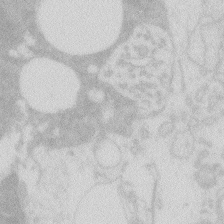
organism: Zebrafish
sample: Macrophage